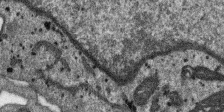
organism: Human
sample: Lung epithelial cells infected with SARS-CoV-2